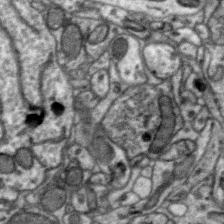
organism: Zebra finch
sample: Brain